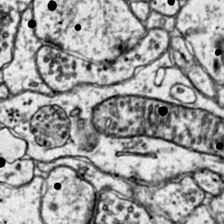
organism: Mouse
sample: Primary visual cortex